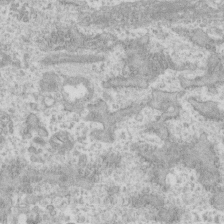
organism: Human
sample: CRL-1474